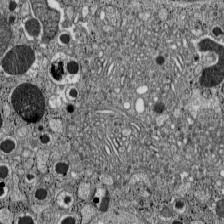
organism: C57BL Mouse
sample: Pancreatic islet